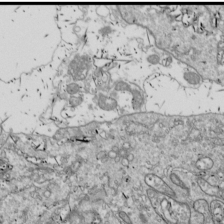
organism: Drosophila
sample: Cell division; meiosis; drosophila spermatocytes